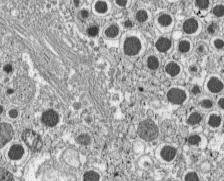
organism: C57BL Mouse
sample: Pancreatic islet